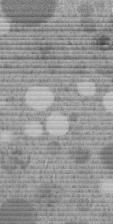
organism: C. elegans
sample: C. elegans embryo early stage